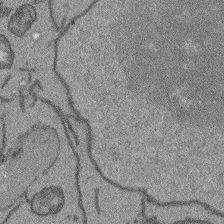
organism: Arabidopsis thaliana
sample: Root tip